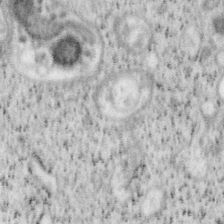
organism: Mouse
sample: OT-I killer T cells with ID8 ovarian cancer cells